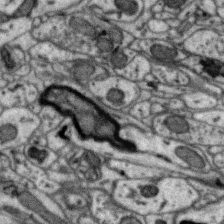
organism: Zebra finch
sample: Brain